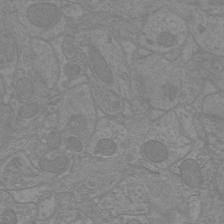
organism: Mouse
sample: Cortical neurons